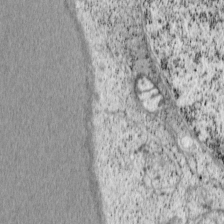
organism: African green monkey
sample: COS-7 cells